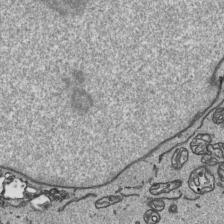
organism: Human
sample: Mitochondria in HCT116 cells